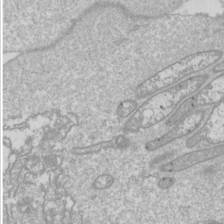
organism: Drosophila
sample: Cell division; meiosis; drosophila spermatocytes